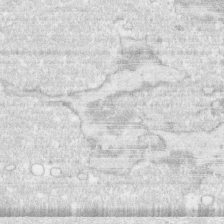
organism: Human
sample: CRL-1474